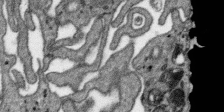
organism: Human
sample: Lung epithelial cells, uninfected (mock) control